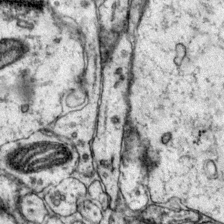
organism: Mouse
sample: Primary visual cortex